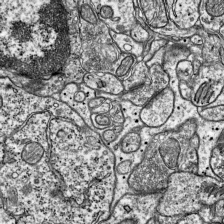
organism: Mouse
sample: Visual Cortex